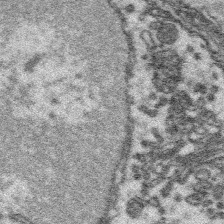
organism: Platynereis dumerilii